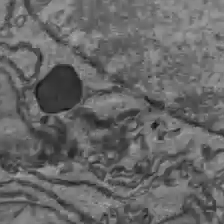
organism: C57BL Mouse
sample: Liver